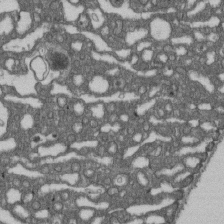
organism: Drosophila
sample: Nephrocyte